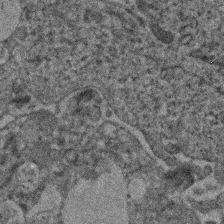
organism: Human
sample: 1205lu cells